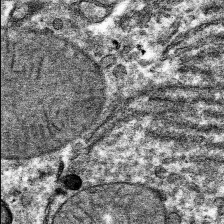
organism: Mouse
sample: Mouse hepatocytes